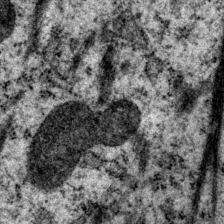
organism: P. pacificus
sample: Pharynx